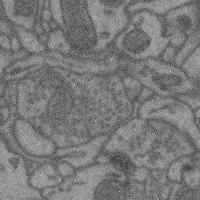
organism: Mouse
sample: Cerebral cortex